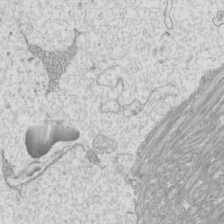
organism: Mouse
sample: Cilia; mouse epididymis